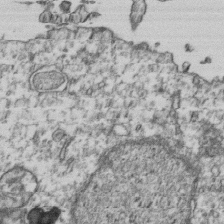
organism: Human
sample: Activated Jurkat CD4+ T cells